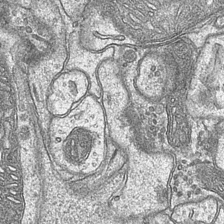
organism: Mouse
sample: CA1 Hippocampus